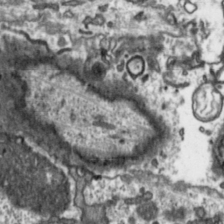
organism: Toxoplasma gondii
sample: Parasites in a vacuole inside a host cell